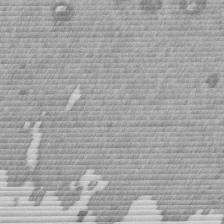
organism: Mouse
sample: Dividing mouse embryo 1 cell stage